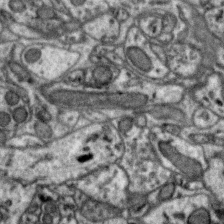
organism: Zebra finch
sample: Brain